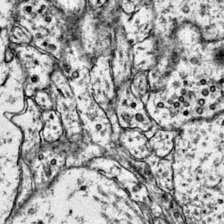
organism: Mouse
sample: Primary visual cortex